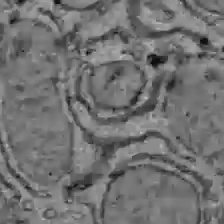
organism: C57BL Mouse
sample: Liver